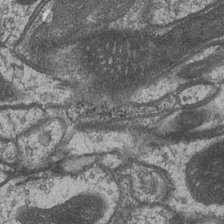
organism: Drosophila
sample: Optic medulla